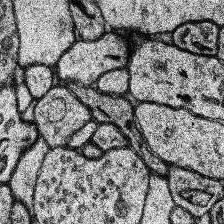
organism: Human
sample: Temporal Lobe